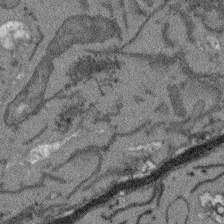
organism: Arabidopsis thaliana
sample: Root tip